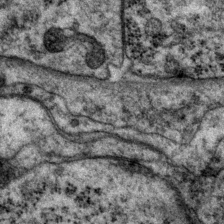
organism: P. pacificus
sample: Pharynx